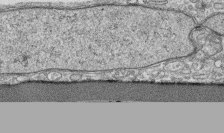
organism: Human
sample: CRL-1474